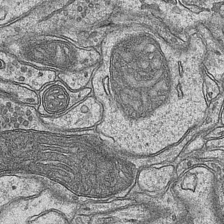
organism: Mouse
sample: CA1 Hippocampus